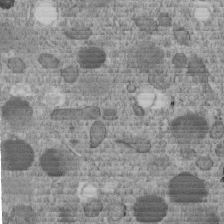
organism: C. elegans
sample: C. elegans embryo early stage